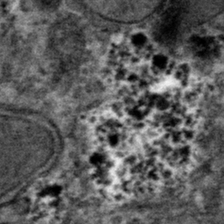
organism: Mouse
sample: Mouse hepatocytes